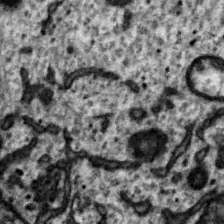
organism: Human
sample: HeLa cells